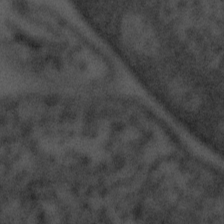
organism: Tuwongella immobilis